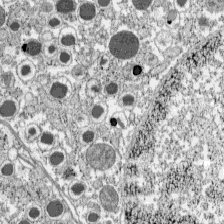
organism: C57BL Mouse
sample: Pancreatic islet